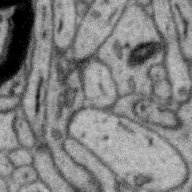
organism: Zebra finch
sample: Brain